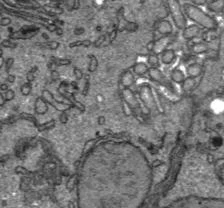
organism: C57BL Mouse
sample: Liver